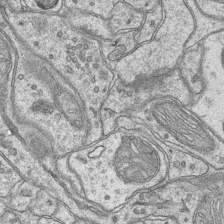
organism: Mouse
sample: CA1 Hippocampus